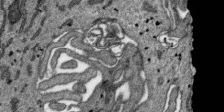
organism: Human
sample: Lung epithelial cells, uninfected (mock) control